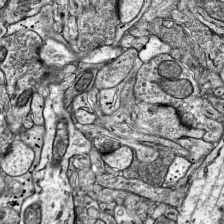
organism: Mouse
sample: Visual Cortex